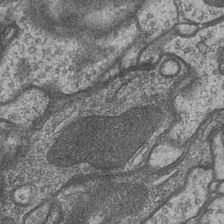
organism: Drosophila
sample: Optic medulla